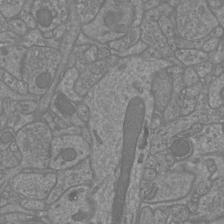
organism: Mouse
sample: Cortical neurons